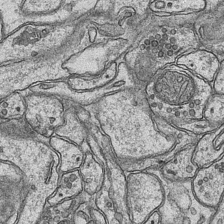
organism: Mouse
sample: CA1 Hippocampus